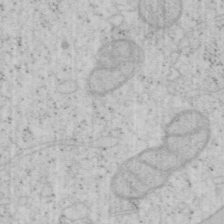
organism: Human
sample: HeLa cells